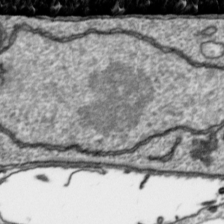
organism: Toxoplasma gondii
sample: Parasites in a vacuole inside a host cell